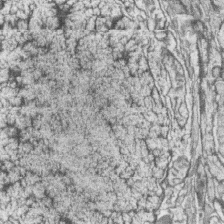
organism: Zebrafish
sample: synaptic ribbons in rod cells and cone cells